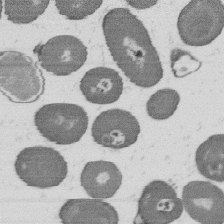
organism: B. subtilis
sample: Bacterial spore